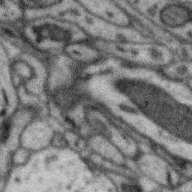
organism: Zebra finch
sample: Brain